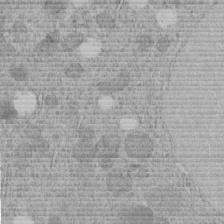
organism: C. elegans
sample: C. elegans embryo early stage